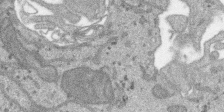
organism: Human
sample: Lung epithelial cells infected with SARS-CoV-2